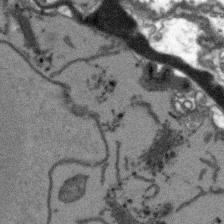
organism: Arabidopsis thaliana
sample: Root tip